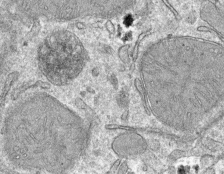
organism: Mouse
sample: Mouse hepatocytes